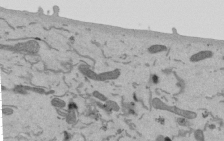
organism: Mouse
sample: ED-1 cell nuclei; centrioles